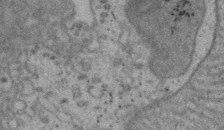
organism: Human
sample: HeLa cells